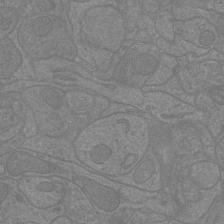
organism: Mouse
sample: Cortical neurons